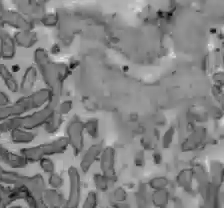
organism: C57BL Mouse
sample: Liver